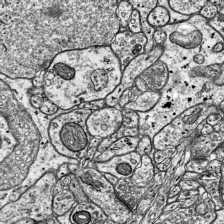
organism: Mouse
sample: Visual Cortex